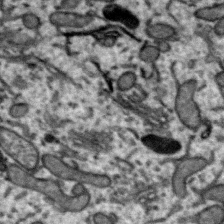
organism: Zebra finch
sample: Brain